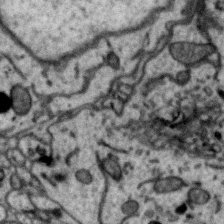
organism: Zebra finch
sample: Brain